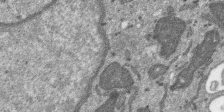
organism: Human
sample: Lung epithelial cells infected with SARS-CoV-2